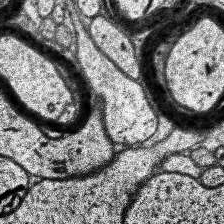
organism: Human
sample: Temporal Lobe